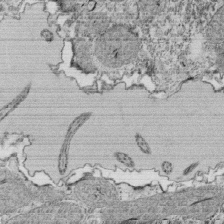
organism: Tetrahymena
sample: Cilia in tetrahymena